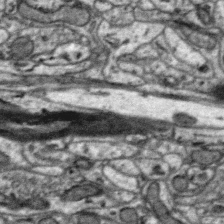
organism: Zebra finch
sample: Brain